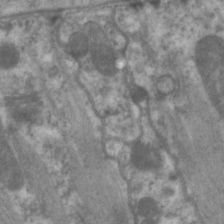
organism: C. elegans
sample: Pharynx